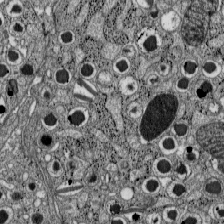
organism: C57BL Mouse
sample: Pancreatic islet